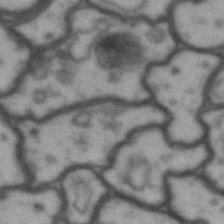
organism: Drosophila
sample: Brain